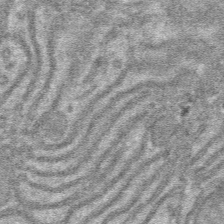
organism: Mouse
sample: Mouse hepatocytes